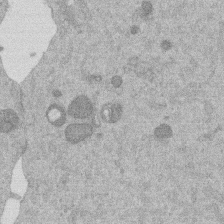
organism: Mouse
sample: Dividing mouse embryo 1 cell stage